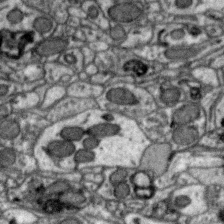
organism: Zebra finch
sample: Brain